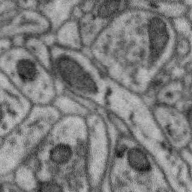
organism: Zebra finch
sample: Brain